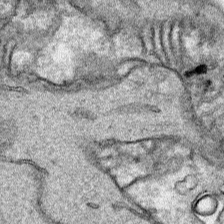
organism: Human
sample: Mitochondria in HCT116 cells